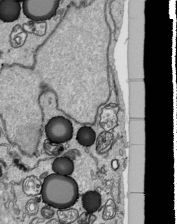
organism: Human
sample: Mitochondria in HCT116 cells